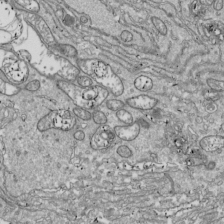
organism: Drosophila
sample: Cell division; meiosis; drosophila spermatocytes